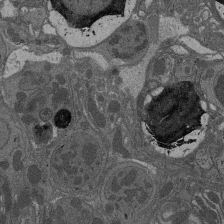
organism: Drosophila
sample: Antenna